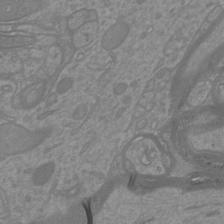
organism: Mouse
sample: Cortical neurons